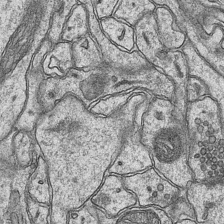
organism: Mouse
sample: CA1 Hippocampus